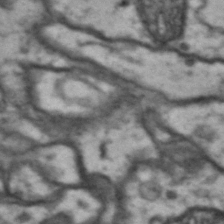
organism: Drosophila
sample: Brain